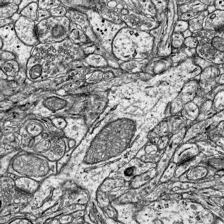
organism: Mouse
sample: Visual Cortex